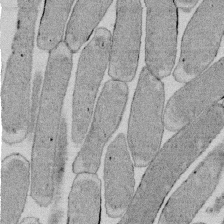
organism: E. coli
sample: Bacterial nucleoid